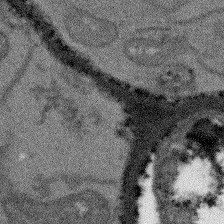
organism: Arabidopsis thaliana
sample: Root tip